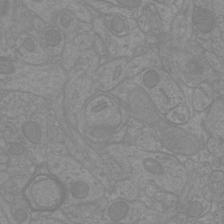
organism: Mouse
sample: Cortical neurons